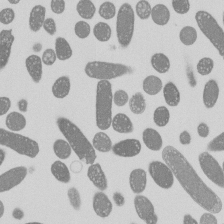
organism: E. coli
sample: Bacterial nucleoid